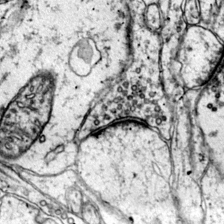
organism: Mouse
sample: Primary visual cortex